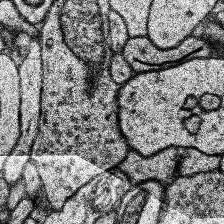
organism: Human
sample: Temporal Lobe